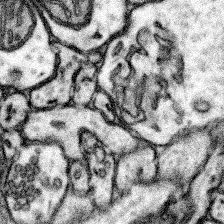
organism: Mouse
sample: Somatosensory cortex neuropil